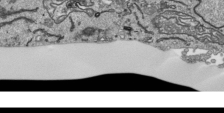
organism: Human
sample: Mitochondria in HCT116 cells